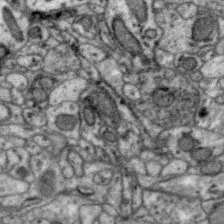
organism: Zebra finch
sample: Brain